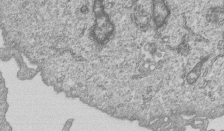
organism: Human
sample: MDA-MB-231 cells